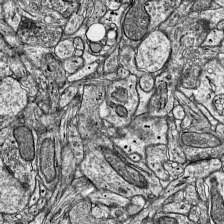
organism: Mouse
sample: Visual Cortex